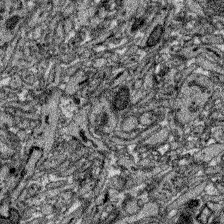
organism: Zebrafish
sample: Larval olfactory bulb